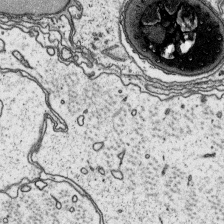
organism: Platynereis dumerilii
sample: Parapodia